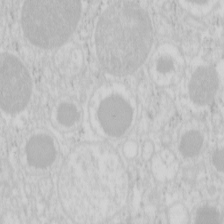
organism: Mouse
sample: Pancreas